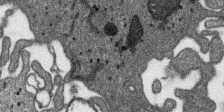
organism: Human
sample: Lung epithelial cells infected with SARS-CoV-2